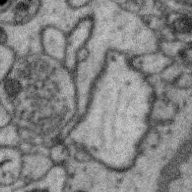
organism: Zebra finch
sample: Brain